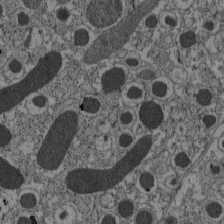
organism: C57BL Mouse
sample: Pancreatic islet